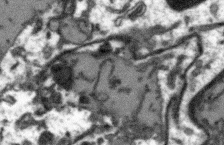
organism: Arabidopsis thaliana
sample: Root tip